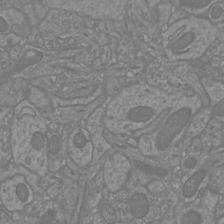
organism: Mouse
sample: Cortical neurons